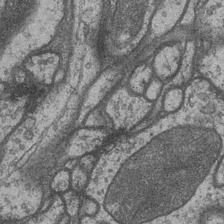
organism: Drosophila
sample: Optic medulla